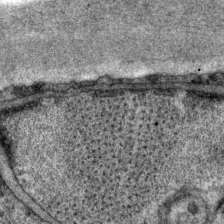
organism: P. pacificus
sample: Pharynx